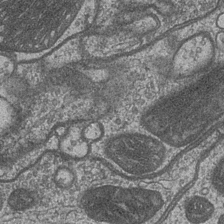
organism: Drosophila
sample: Optic medulla